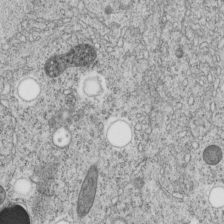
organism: C. elegans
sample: C. elegans embryo early stage